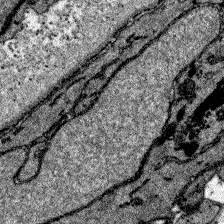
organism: Zebrafish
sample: Larval olfactory bulb